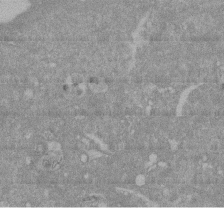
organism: Mouse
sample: ED-1 cell nuclei; centrioles